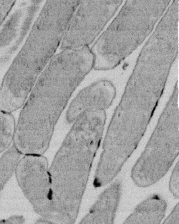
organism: E. coli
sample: Bacterial nucleoid